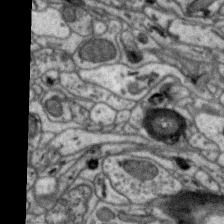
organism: Zebra finch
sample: Brain